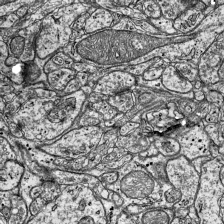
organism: Mouse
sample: Visual Cortex